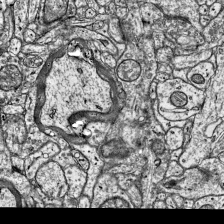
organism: Mouse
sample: Visual Cortex